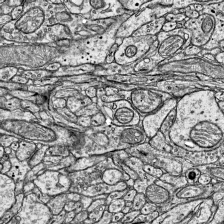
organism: Mouse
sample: Visual Cortex